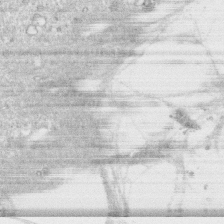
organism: Human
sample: CRL-1474